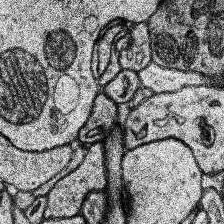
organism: Human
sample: Temporal Lobe